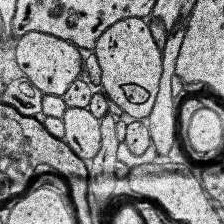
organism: Human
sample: Temporal Lobe